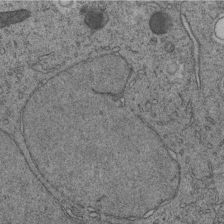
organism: C. elegans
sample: C. elegans embryo early stage